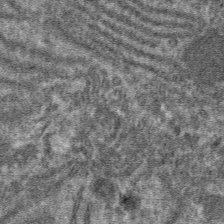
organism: Mouse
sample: Mouse hepatocytes